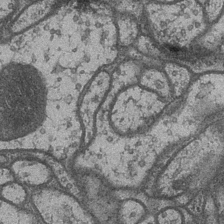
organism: Drosophila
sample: Optic medulla